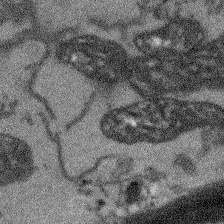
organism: Arabidopsis thaliana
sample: Root tip